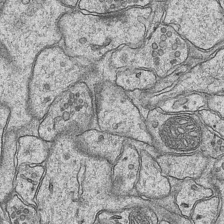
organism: Mouse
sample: CA1 Hippocampus